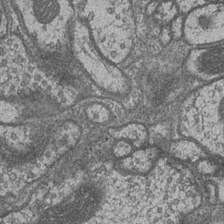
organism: Drosophila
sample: Optic medulla